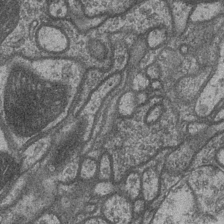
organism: Drosophila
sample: Optic medulla